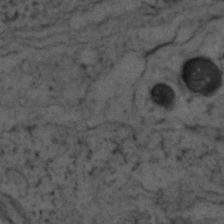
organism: Zebrafish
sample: Zebrafish embryo